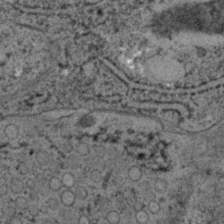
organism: C. elegans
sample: C. elegans embryo